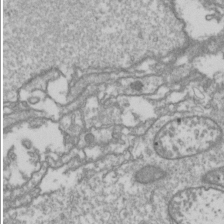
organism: Drosophila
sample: Cell division; meiosis; drosophila spermatocytes